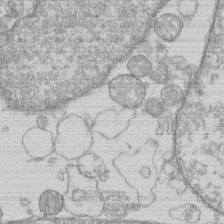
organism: Human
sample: Macrophage cells